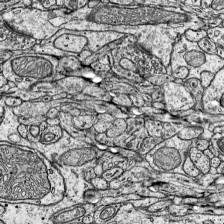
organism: Mouse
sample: Visual Cortex